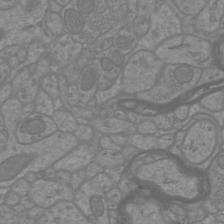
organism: Mouse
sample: Cortical neurons